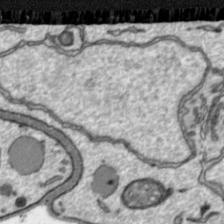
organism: Toxoplasma gondii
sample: Parasites in a vacuole inside a host cell